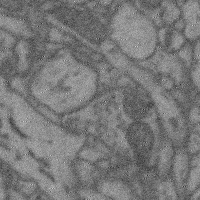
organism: Mouse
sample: Cerebral cortex